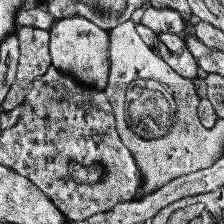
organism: Human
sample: Temporal Lobe